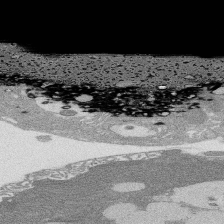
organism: Rat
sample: Salivary granule